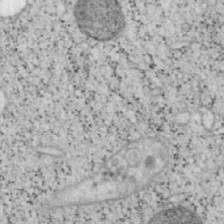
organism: Mouse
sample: OT-I killer T cells with ID8 ovarian cancer cells